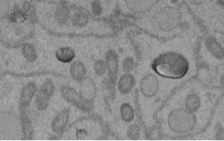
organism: C. elegans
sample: C. elegans embryo early stage